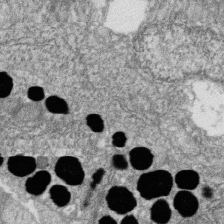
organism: Zebrafish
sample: Cilia; retinal pigment epithelium